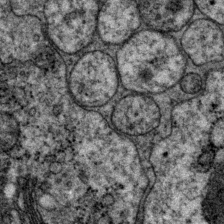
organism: P. pacificus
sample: Pharynx